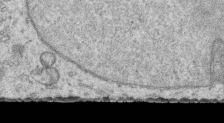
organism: Human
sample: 1205lu cells